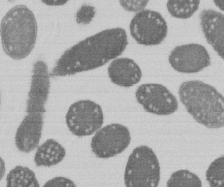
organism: E. coli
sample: Bacterial nucleoid